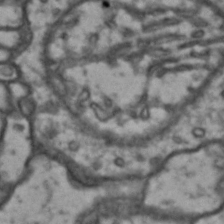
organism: Drosophila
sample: Brain